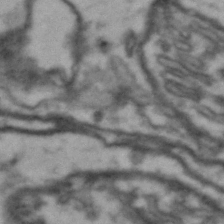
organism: Drosophila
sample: Brain